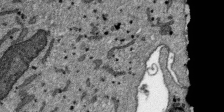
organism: Human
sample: Lung epithelial cells, uninfected (mock) control